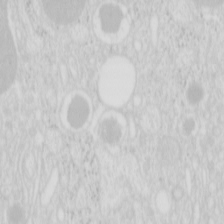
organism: Mouse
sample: Pancreas